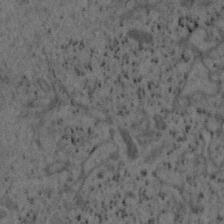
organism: Human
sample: HeLa cells